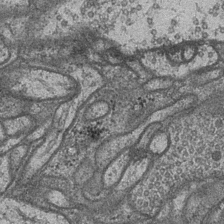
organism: Drosophila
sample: Optic medulla